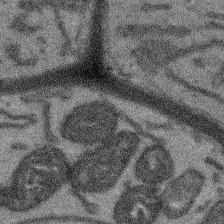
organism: Arabidopsis thaliana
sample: Root tip